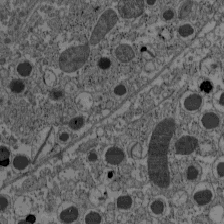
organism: C57BL Mouse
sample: Pancreatic islet